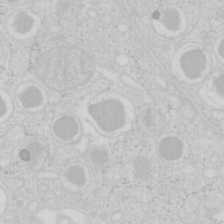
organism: Mouse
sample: Pancreas